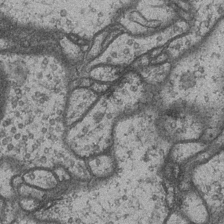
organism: Drosophila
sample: Optic medulla